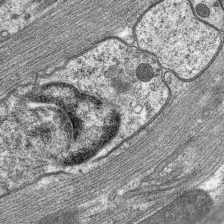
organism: C. elegans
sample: Pharynx